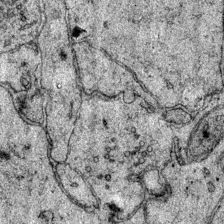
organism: Mouse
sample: Primary visual cortex